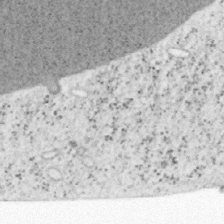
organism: Mouse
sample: OT-I killer T cells with ID8 ovarian cancer cells